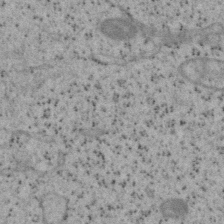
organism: Human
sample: HeLa cells